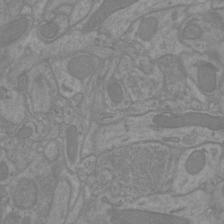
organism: Mouse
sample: Cortical neurons